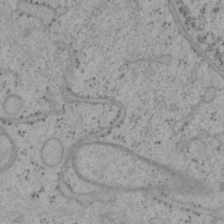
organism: Human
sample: HeLa cells